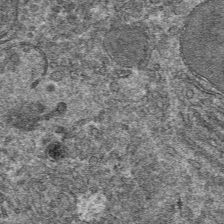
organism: Mouse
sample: Mouse hepatocytes